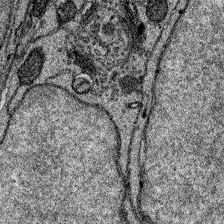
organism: Zebrafish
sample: Larval olfactory bulb